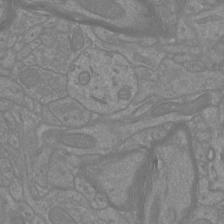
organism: Mouse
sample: Cortical neurons